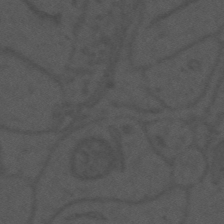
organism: Mouse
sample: Suprachiasmatic nucleus